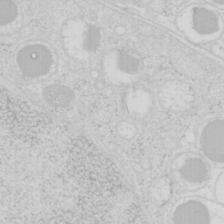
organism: Mouse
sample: Pancreas